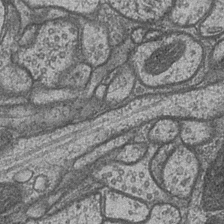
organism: Drosophila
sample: Optic medulla